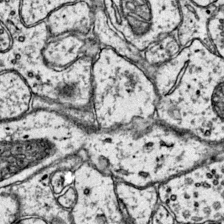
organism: Mouse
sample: Primary visual cortex